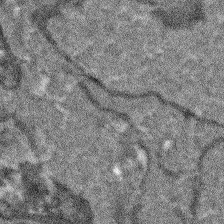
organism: Arabidopsis thaliana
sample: Root tip